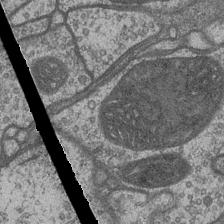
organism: Drosophila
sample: Optic medulla